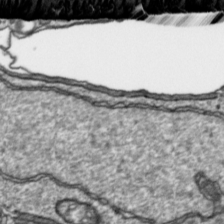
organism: Toxoplasma gondii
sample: Parasites in a vacuole inside a host cell